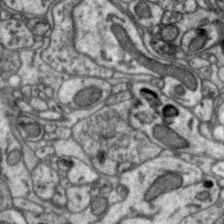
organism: Zebra finch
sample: Brain